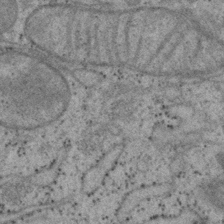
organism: Human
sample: HeLa cells